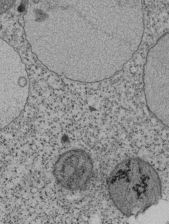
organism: Tetrahymena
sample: Cilia in tetrahymena